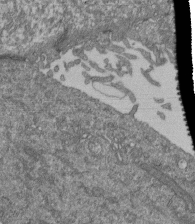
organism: Human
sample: Retinal organoid Rod and Cone cells